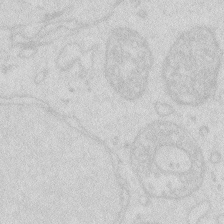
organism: Zebrafish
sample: Macrophage